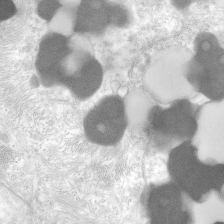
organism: Human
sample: Neocortex